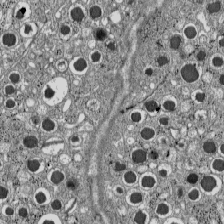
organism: C57BL Mouse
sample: Pancreatic islet